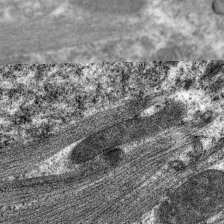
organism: C. elegans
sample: Pharynx